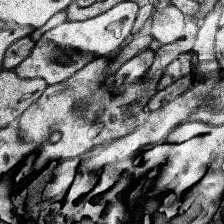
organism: Human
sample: Temporal Lobe